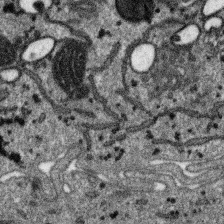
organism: Human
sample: Lung epithelial cells infected with SARS-CoV-2